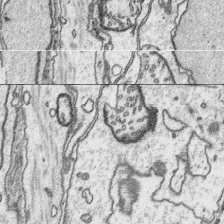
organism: Platynereis dumerilii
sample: Parapodia